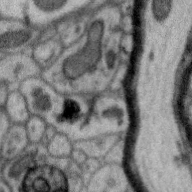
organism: Zebra finch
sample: Brain